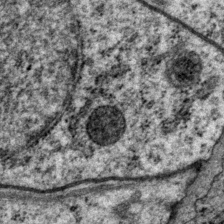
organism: P. pacificus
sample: Pharynx